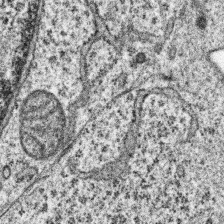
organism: Human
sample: HeLa cells